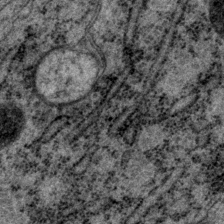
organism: P. pacificus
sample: Pharynx